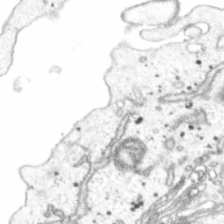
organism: Human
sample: HeLa cells